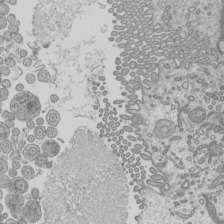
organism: Mouse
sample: Cilia; mouse epididymis